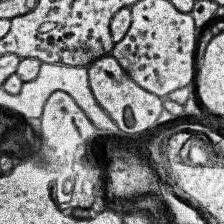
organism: Human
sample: Temporal Lobe